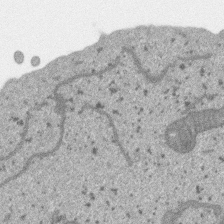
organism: Human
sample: Lung epithelial cells infected with SARS-CoV-2